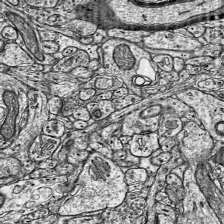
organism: Mouse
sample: Visual Cortex